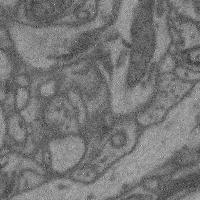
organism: Mouse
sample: Cerebral cortex